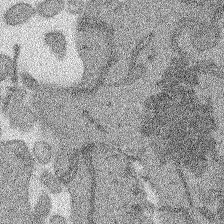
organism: Human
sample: HeLa cells